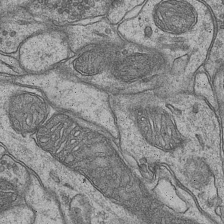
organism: Mouse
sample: CA1 Hippocampus